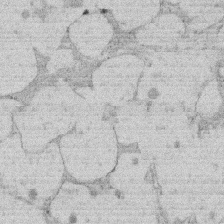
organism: Rat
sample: Salivary granule